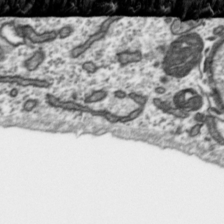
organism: Toxoplasma gondii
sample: Parasites in a vacuole inside a host cell